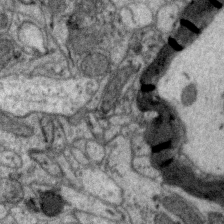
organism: Zebra finch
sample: Brain